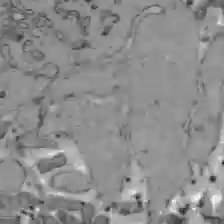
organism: C57BL Mouse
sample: Liver